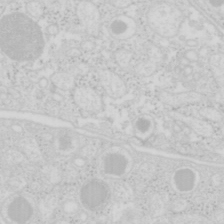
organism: Mouse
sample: Pancreas